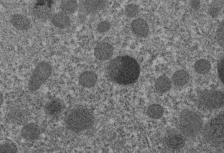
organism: C. elegans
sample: C. elegans embryo early stage